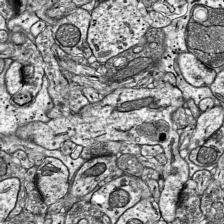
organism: Mouse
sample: Visual Cortex